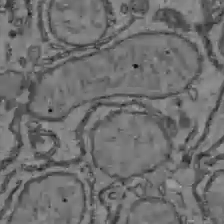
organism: C57BL Mouse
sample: Liver